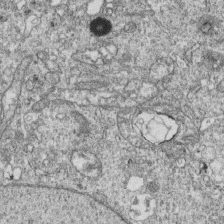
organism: Human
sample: HeLa cell HIV synapse